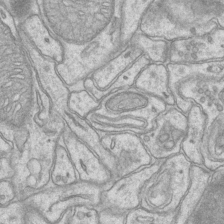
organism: Mouse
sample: CA1 Hippocampus